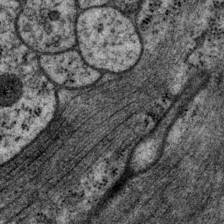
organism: P. pacificus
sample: Pharynx